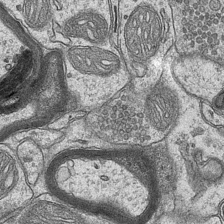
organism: Mouse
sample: CA1 Hippocampus